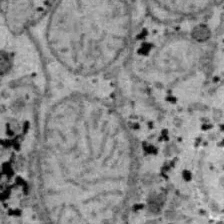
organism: Mouse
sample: Liver from an obese (ob/ob) mouse